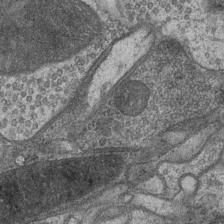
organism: Drosophila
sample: Optic medulla